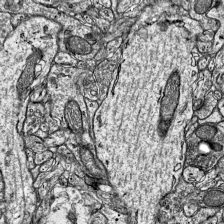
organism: Mouse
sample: Visual Cortex